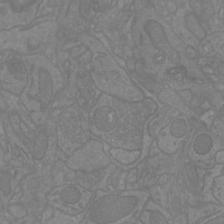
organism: Mouse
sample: Cortical neurons